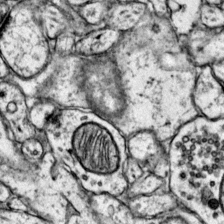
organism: Mouse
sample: Primary visual cortex